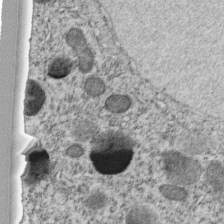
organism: C. elegans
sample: C. elegans embryo early stage